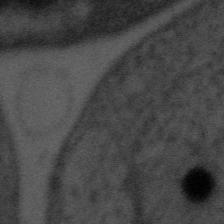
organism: Tuwongella immobilis